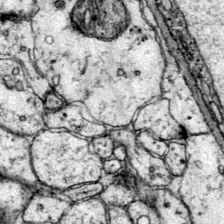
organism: Mouse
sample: Primary visual cortex